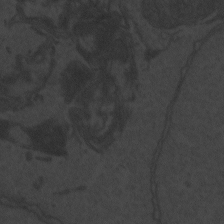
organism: Zebrafish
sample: Macrophage infected with Toxoplasma gondii